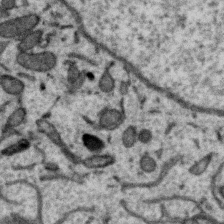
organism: Zebra finch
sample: Brain